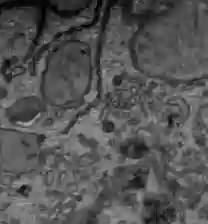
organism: C57BL Mouse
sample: Liver